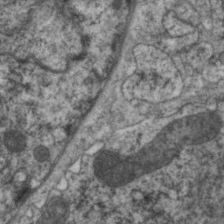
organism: C. elegans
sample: Pharynx